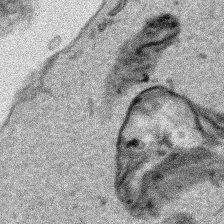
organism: Human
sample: Mitochondria in HCT116 cells